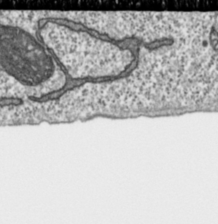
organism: Toxoplasma gondii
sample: Parasites in a vacuole inside a host cell